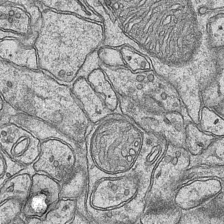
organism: Mouse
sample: CA1 Hippocampus